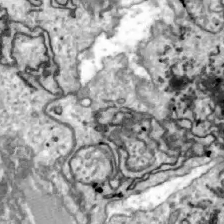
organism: Zebrafish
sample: Actinotrichia fibers